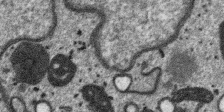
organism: Human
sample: Lung epithelial cells infected with SARS-CoV-2